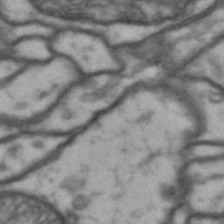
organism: Drosophila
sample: Brain